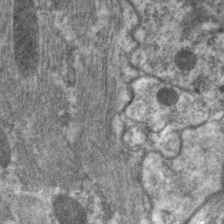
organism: C. elegans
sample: Pharynx